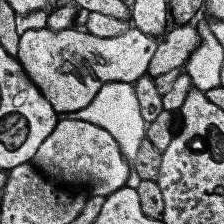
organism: Human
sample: Temporal Lobe